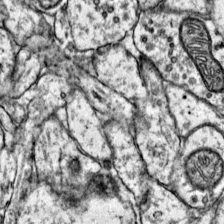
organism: Mouse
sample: Primary visual cortex